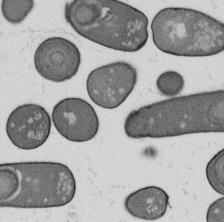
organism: B. subtilis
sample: Bacterial spore